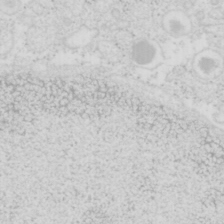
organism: Mouse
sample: Pancreas